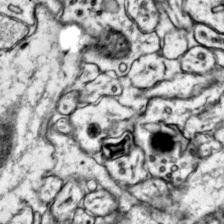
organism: Mouse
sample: Primary visual cortex